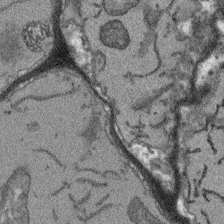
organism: Arabidopsis thaliana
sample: Root tip